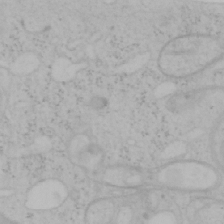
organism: Mouse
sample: OT-I killer T cells with ID8 ovarian cancer cells